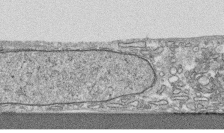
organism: Human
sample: CRL-1474